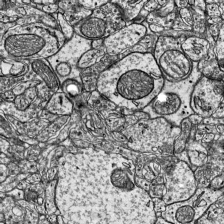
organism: Mouse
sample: Visual Cortex